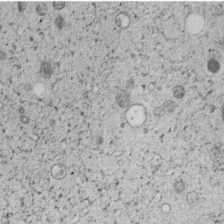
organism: C. elegans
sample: C. elegans embryo early stage